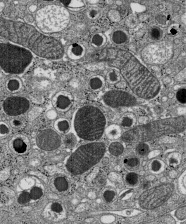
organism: C57BL Mouse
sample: Pancreatic islet